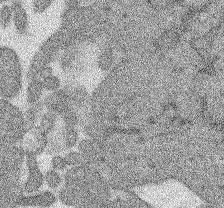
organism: Human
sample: HeLa cells